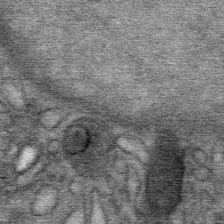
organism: Mouse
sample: Mouse Salivary gland